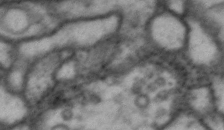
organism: Drosophila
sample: Brain